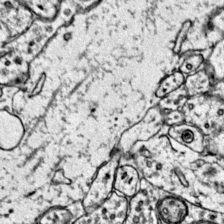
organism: Mouse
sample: Primary visual cortex